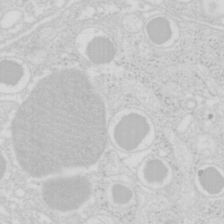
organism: Mouse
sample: Pancreas